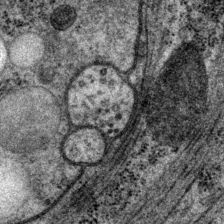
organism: P. pacificus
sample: Pharynx